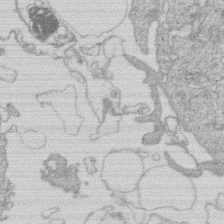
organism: Human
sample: Macrophage cells